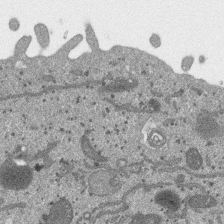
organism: Human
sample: Lung epithelial cells infected with SARS-CoV-2